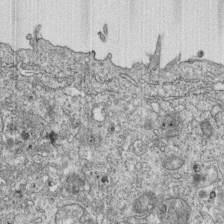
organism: Human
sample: HeLa cell HIV synapse